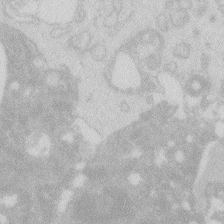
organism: Zebrafish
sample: Macrophage